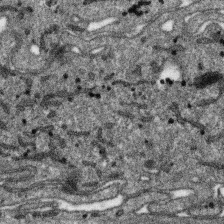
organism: Human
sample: Lung epithelial cells infected with SARS-CoV-2